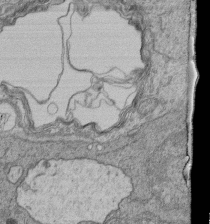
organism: Human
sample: Retinal organoid Rod and Cone cells